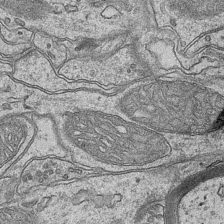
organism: Mouse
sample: CA1 Hippocampus